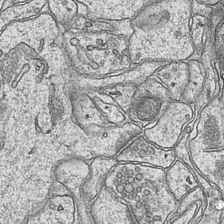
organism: Mouse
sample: CA1 Hippocampus